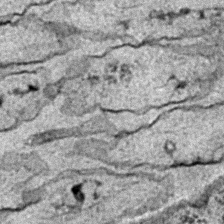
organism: C. elegans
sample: C. elegans embryo